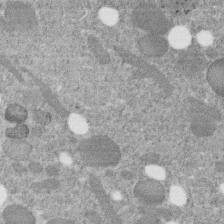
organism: C. elegans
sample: C. elegans embryo early stage